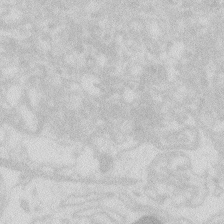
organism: Zebrafish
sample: Macrophage